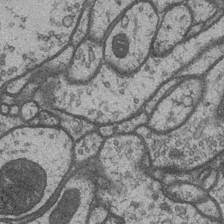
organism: Drosophila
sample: Optic medulla